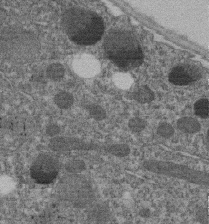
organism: C. elegans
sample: C. elegans embryo early stage